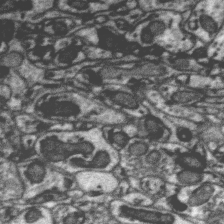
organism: Zebra finch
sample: Brain